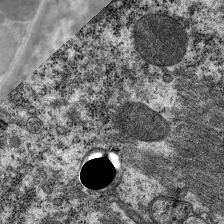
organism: C. elegans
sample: Pharynx